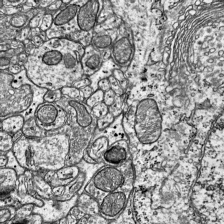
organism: Mouse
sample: Visual Cortex